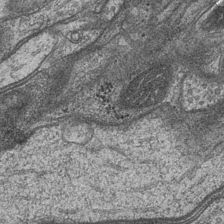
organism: Drosophila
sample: Optic medulla